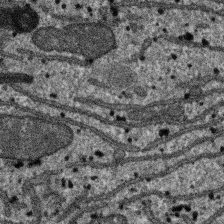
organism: Human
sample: Lung epithelial cells infected with SARS-CoV-2